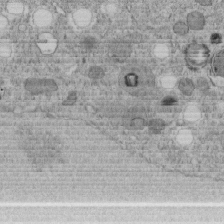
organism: C. elegans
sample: C. elegans embryo early stage